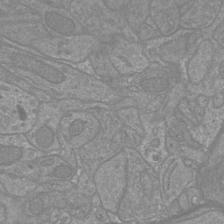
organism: Mouse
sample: Cortical neurons